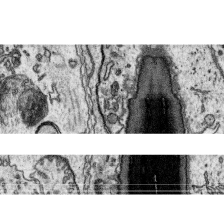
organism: Platynereis dumerilii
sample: Parapodia